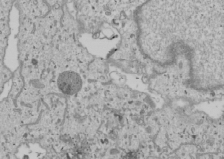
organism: Human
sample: Mitochondria in U2OS cells